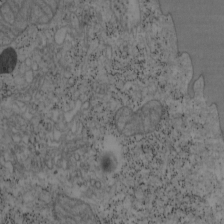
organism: Mouse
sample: OT-I killer T cells with ID8 ovarian cancer cells